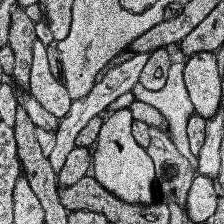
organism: Human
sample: Temporal Lobe